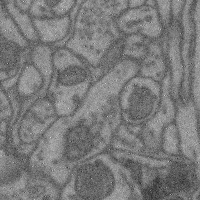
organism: Mouse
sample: Cerebral cortex